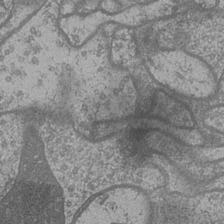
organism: Drosophila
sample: Optic medulla